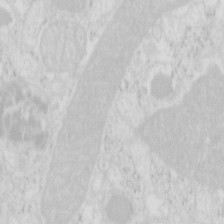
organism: Mouse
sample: Pancreas